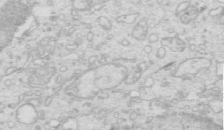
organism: Mouse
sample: Multiciliated cells